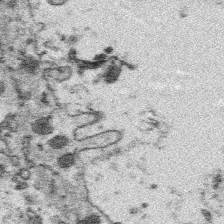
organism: Platynereis dumerilii